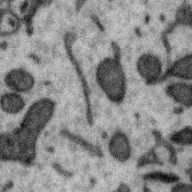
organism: Zebra finch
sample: Brain